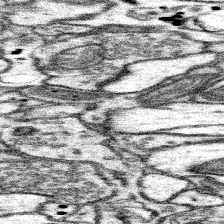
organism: Mouse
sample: Somatosensory cortex neuropil